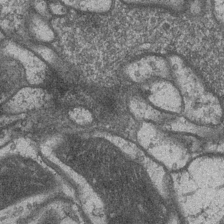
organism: Drosophila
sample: Optic medulla